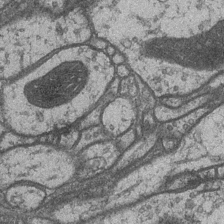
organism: Drosophila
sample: Optic medulla